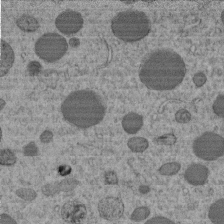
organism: C. elegans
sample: C. elegans embryo early stage